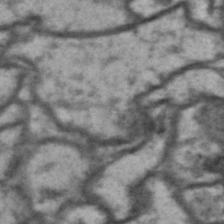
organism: Drosophila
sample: Brain